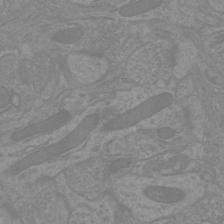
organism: Mouse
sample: Cortical neurons